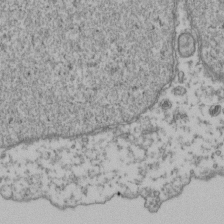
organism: Human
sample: Activated Jurkat CD4+ T cells